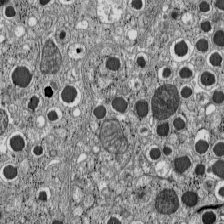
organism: C57BL Mouse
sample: Pancreatic islet